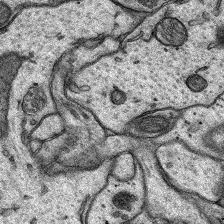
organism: Rat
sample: Hippocampus